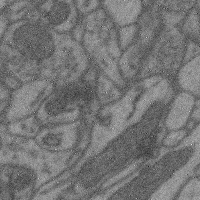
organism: Mouse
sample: Cerebral cortex